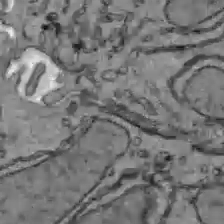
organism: C57BL Mouse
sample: Liver